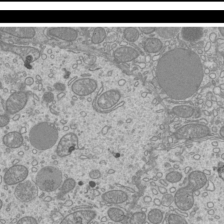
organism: Mouse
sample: Cilia; mouse epididymis